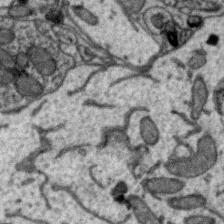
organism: Zebra finch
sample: Brain